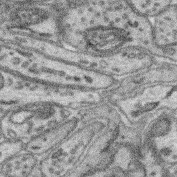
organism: Mouse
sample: Retina